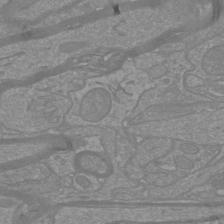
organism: Mouse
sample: Cortical neurons